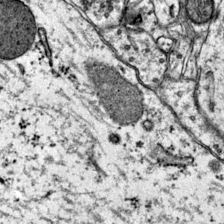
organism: Mouse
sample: Primary visual cortex